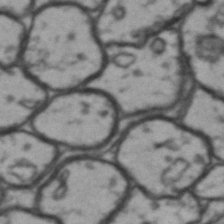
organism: Drosophila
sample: Brain